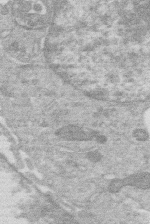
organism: Human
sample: Macrophage cells